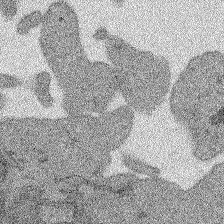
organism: Human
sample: HeLa cells